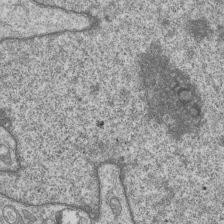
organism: Human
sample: MDA-MB-231 cells